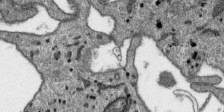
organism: Human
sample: Lung epithelial cells, uninfected (mock) control